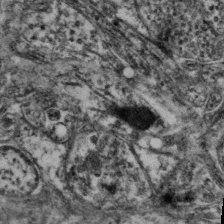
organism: Mouse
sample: Neocortex